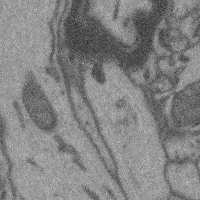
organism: Mouse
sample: Cerebral cortex